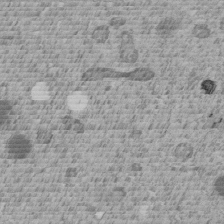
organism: C. elegans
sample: C. elegans embryo early stage